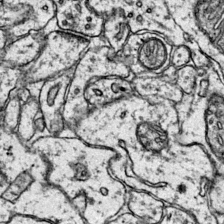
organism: Mouse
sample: Primary visual cortex